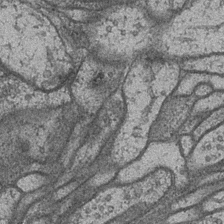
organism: Drosophila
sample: Optic medulla